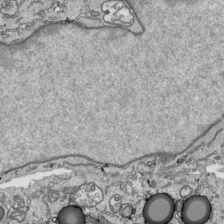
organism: Human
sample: Mitochondria in HCT116 cells